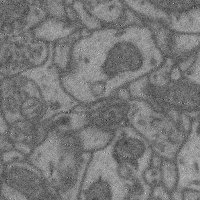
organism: Mouse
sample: Cerebral cortex